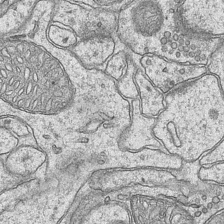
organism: Mouse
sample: CA1 Hippocampus